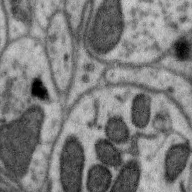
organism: Zebra finch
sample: Brain